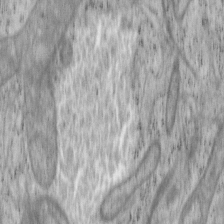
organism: Human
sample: HeLa cells